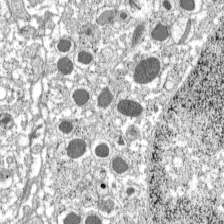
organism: C57BL Mouse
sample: Pancreatic islet